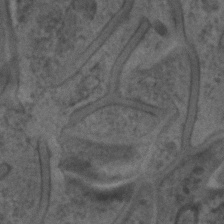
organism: C. elegans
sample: C. elegans embryo